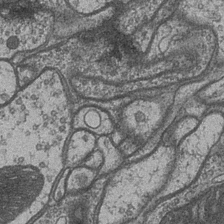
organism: Drosophila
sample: Optic medulla